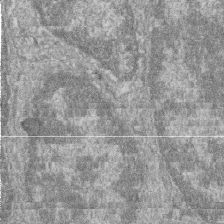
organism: Zebrafish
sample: Cilia; retinal pigment epithelium